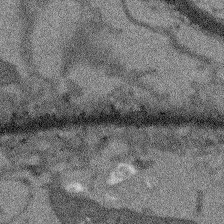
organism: Arabidopsis thaliana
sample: Root tip